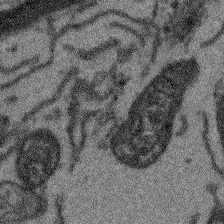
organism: Arabidopsis thaliana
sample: Root tip